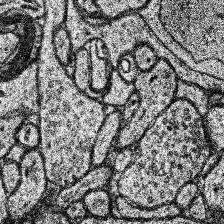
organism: Human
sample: Temporal Lobe